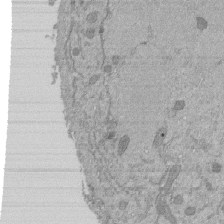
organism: Mouse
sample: ED-1 cell nuclei; centrioles